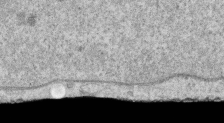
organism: Human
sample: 1205lu cells